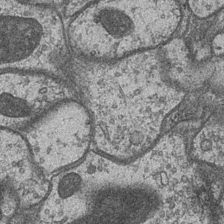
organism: Drosophila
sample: Optic medulla